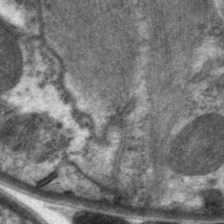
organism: C. elegans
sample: Pharynx